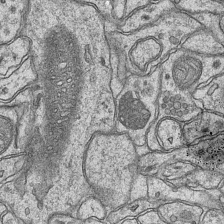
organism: Mouse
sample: CA1 Hippocampus